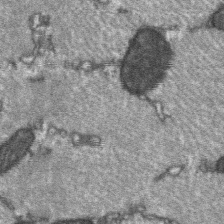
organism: C57BL Mouse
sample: Soleus